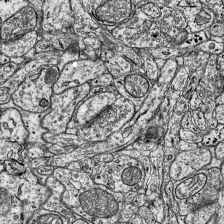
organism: Mouse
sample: Visual Cortex